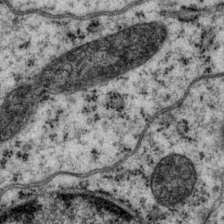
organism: P. pacificus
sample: Pharynx